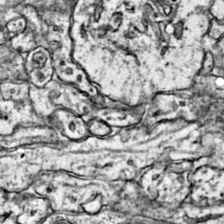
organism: Mouse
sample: Primary visual cortex